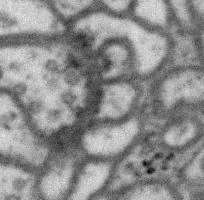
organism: Drosophila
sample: Protocerebral bridge